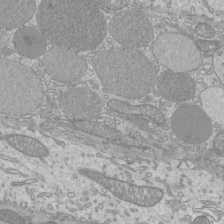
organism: Mouse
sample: Cilia; mouse epididymis